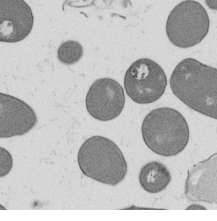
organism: B. subtilis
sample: Bacterial spore